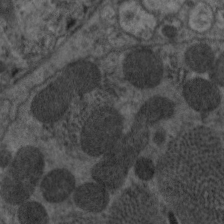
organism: C. elegans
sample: Pharynx